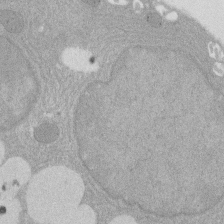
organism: Rat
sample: Salivary granule